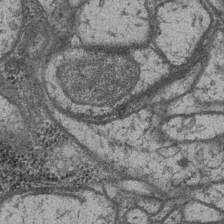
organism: Drosophila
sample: Optic medulla